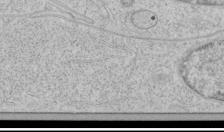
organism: Human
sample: Mitochondria in HCT116 cells